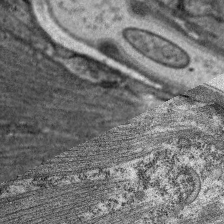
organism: C. elegans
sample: Pharynx